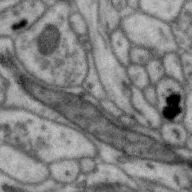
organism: Zebra finch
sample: Brain